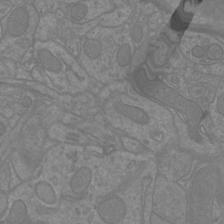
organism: Mouse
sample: Cortical neurons